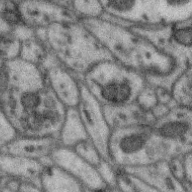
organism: Zebra finch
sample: Brain